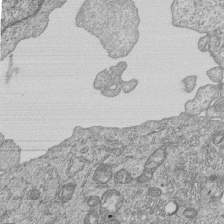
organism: Human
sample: MDA-MB-231 cells